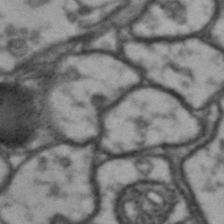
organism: Drosophila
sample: Brain